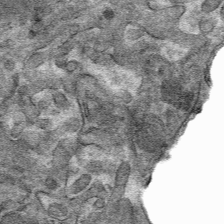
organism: Mouse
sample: Mouse hepatocytes